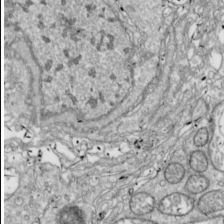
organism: Drosophila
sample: Cell division; meiosis; drosophila spermatocytes